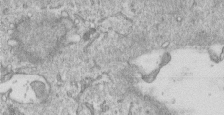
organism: Human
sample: Centriole in RPE cells